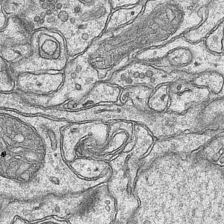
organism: Mouse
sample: CA1 Hippocampus